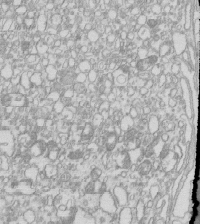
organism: Mouse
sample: Macrophages